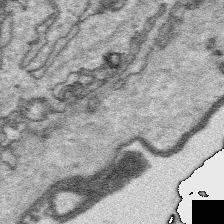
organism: Platynereis dumerilii